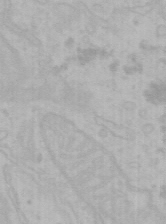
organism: Mouse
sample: Choroid plexus